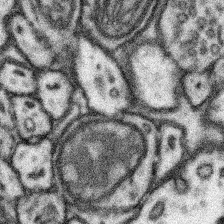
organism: Mouse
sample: Somatosensory cortex neuropil